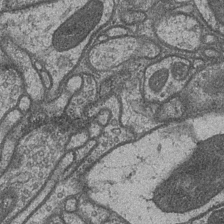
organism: Drosophila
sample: Optic medulla